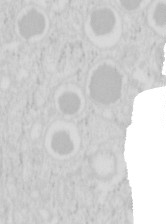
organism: Mouse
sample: Pancreas